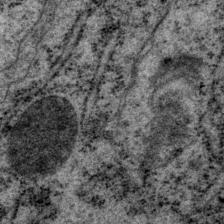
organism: P. pacificus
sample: Pharynx